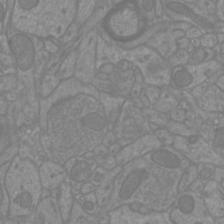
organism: Mouse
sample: Cortical neurons